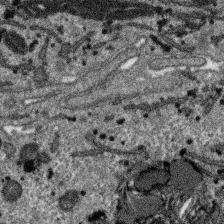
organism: Human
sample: Lung epithelial cells infected with SARS-CoV-2